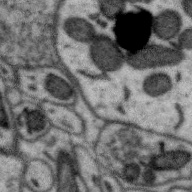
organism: Zebra finch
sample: Brain